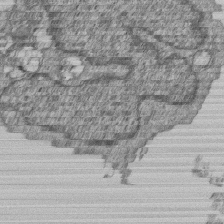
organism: Human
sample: MDA-MB-231 cells